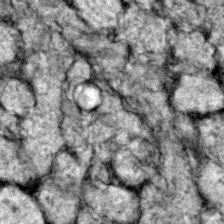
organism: Zebrafish